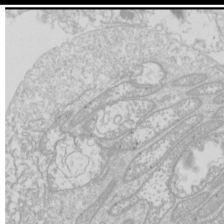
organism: Drosophila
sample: Cell division; meiosis; drosophila spermatocytes